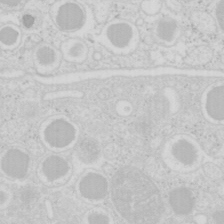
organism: Mouse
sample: Pancreas